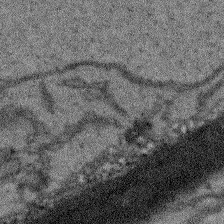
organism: Arabidopsis thaliana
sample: Root tip